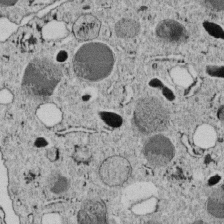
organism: C. elegans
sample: C. elegans embryo early stage